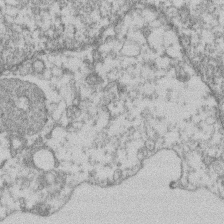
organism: Mouse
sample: T cell stromal cell synapse